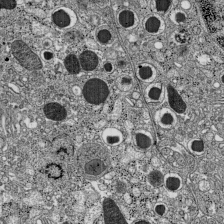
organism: C57BL Mouse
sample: Pancreatic islet